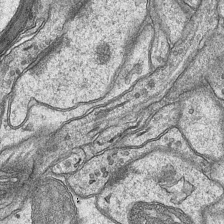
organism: Mouse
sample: CA1 Hippocampus